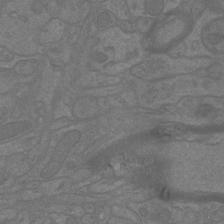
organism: Mouse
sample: Cortical neurons